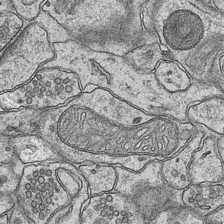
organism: Mouse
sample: CA1 Hippocampus